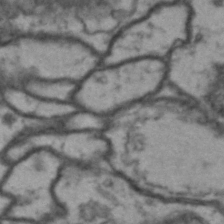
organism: Drosophila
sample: Brain